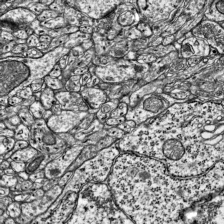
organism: Mouse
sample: Visual Cortex